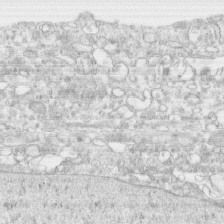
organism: Human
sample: CRL-1474